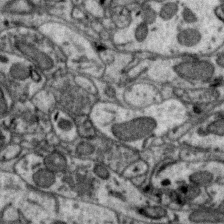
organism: Zebra finch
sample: Brain